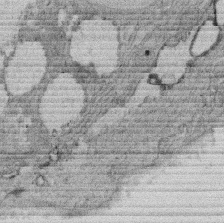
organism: Rat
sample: Salivary granule